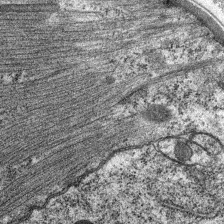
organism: C. elegans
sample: Pharynx